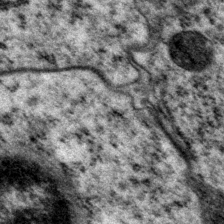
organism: P. pacificus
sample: Pharynx